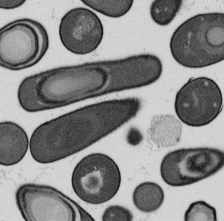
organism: B. subtilis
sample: Bacterial spore